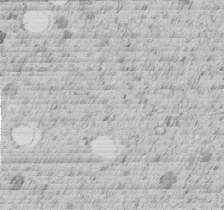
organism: C. elegans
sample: C. elegans embryo early stage